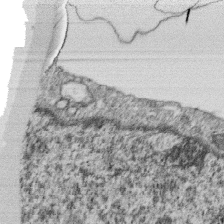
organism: African green monkey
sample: Vero E6 cells infected with SARS-CoV-2